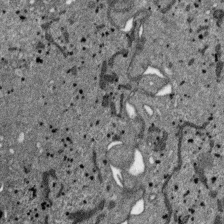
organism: Human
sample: Lung epithelial cells, uninfected (mock) control